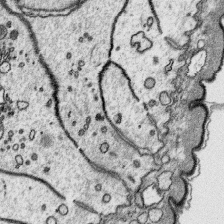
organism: Platynereis dumerilii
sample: Parapodia